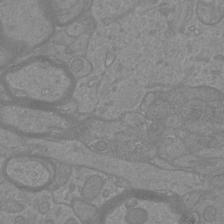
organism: Mouse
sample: Cortical neurons